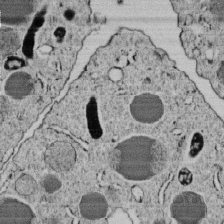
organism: C. elegans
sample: C. elegans embryo early stage